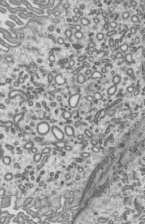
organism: Mouse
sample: Mouse epididymis efferent ductule cilia